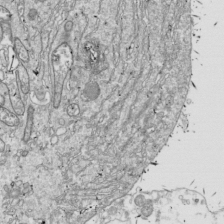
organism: Drosophila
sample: Cell division; meiosis; drosophila spermatocytes